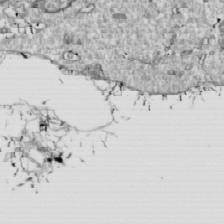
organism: Drosophila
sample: Cell division; meiosis; drosophila spermatocytes